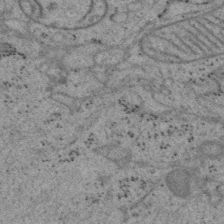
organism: Human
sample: HeLa cells